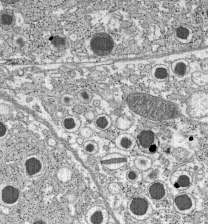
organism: C57BL Mouse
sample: Pancreatic islet